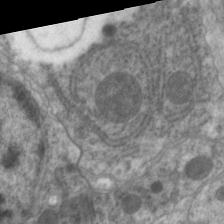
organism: C. elegans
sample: Pharynx